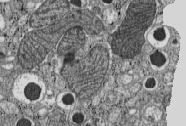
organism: C57BL Mouse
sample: Pancreatic islet